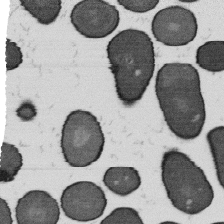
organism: B. subtilis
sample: Bacterial spore